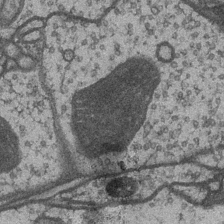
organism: Drosophila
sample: Optic medulla